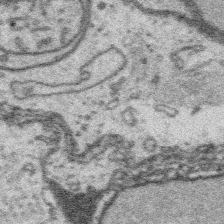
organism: Platynereis dumerilii